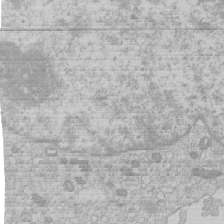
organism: Human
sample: Macrophage cells